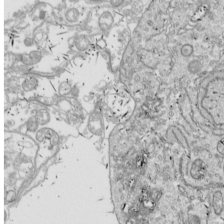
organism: Drosophila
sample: Cell division; meiosis; drosophila spermatocytes